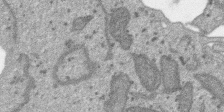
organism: Human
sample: Lung epithelial cells infected with SARS-CoV-2